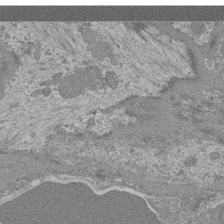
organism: Mouse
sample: Glomerulus